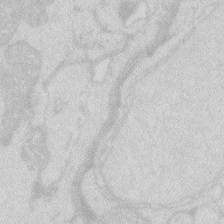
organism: Zebrafish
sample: Macrophage